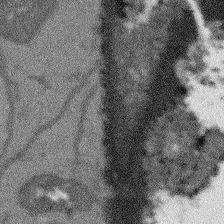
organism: Arabidopsis thaliana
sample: Root tip